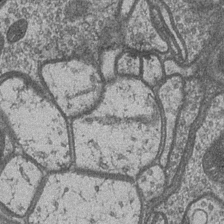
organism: Drosophila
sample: Optic medulla